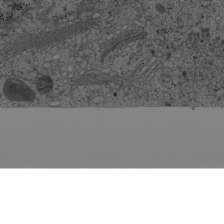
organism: African green monkey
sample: COS-7 cells